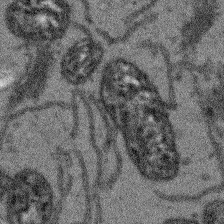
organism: Arabidopsis thaliana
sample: Root tip